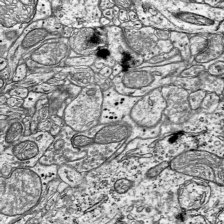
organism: Mouse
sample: Visual Cortex